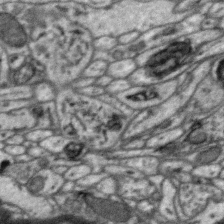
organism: Zebra finch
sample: Brain